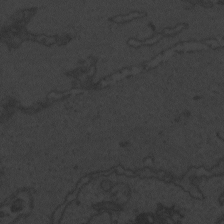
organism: Zebrafish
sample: Macrophage infected with Toxoplasma gondii